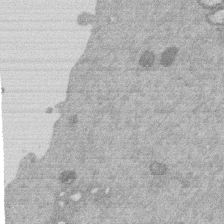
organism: Mouse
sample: Dividing mouse embryo 1 cell stage